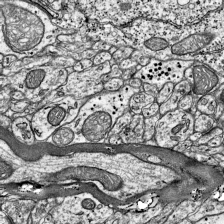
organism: Mouse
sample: Visual Cortex